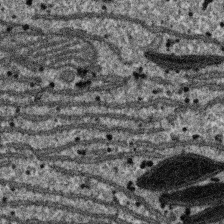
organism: Human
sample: Lung epithelial cells infected with SARS-CoV-2